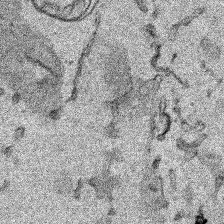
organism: Human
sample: Mitochondria in HCT116 cells